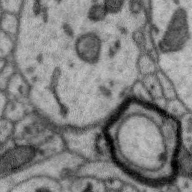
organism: Zebra finch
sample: Brain